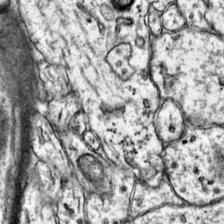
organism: Mouse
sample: Primary visual cortex